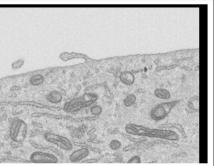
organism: Human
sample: Centriole in RPE cells